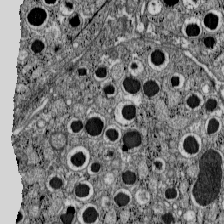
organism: C57BL Mouse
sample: Pancreatic islet